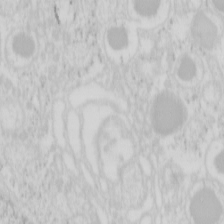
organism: Mouse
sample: Pancreas